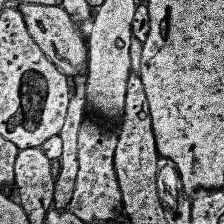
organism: Human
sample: Temporal Lobe